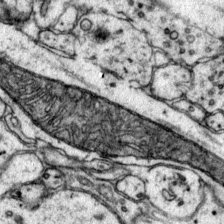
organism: Mouse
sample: Primary visual cortex